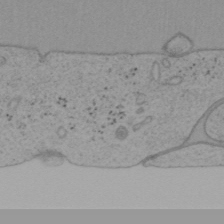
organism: Human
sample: HeLa cells